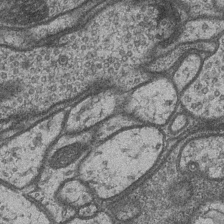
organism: Drosophila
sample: Optic medulla